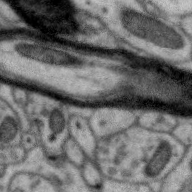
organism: Zebra finch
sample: Brain